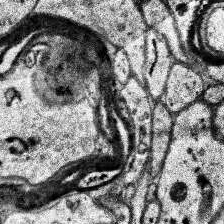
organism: Human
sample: Temporal Lobe